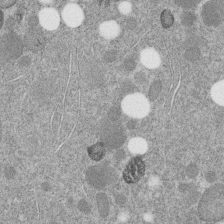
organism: C. elegans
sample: C. elegans embryo early stage